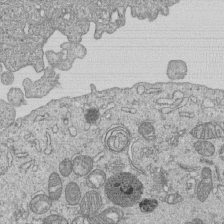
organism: Human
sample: MDA-MB-231 cells